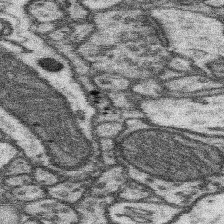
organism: Mouse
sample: Somatosensory cortex neuropil